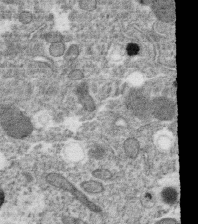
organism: C. elegans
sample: C. elegans oocyte; sperm cells